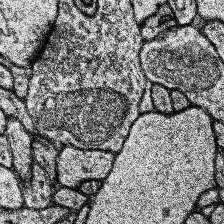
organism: Human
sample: Temporal Lobe